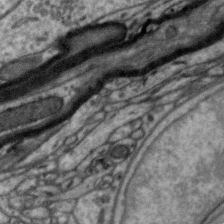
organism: Zebra finch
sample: Brain